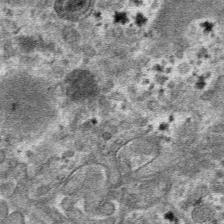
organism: Mouse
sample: Mouse hepatocytes